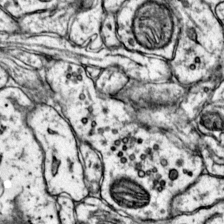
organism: Mouse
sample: Primary visual cortex